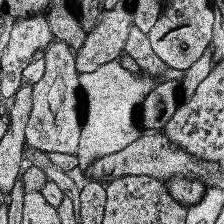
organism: Human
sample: Temporal Lobe